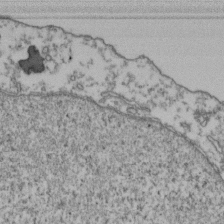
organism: Human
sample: Activated Jurkat CD4+ T cells